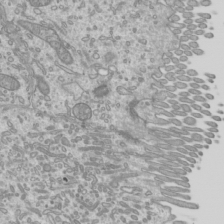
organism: Mouse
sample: Cilia; mouse epididymis